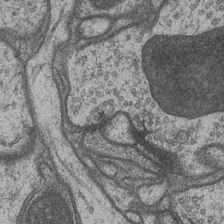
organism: Drosophila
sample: Optic medulla